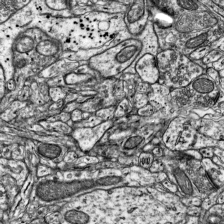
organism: Mouse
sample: Visual Cortex